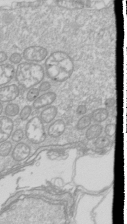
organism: Drosophila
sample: Cell division; meiosis; drosophila spermatocytes